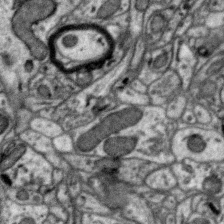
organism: Zebra finch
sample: Brain